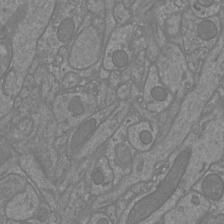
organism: Mouse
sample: Cortical neurons